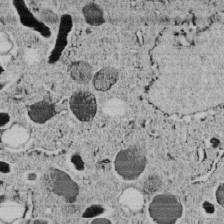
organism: C. elegans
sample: C. elegans embryo early stage